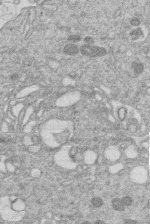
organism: Human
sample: Macrophage cells